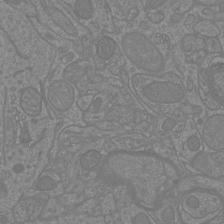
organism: Mouse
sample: Cortical neurons